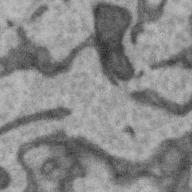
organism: Zebra finch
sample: Brain